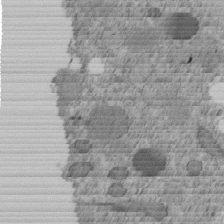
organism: C. elegans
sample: C. elegans embryo early stage